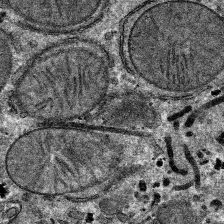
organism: Mouse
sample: Mouse hepatocytes